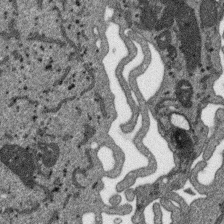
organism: Human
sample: Lung epithelial cells infected with SARS-CoV-2